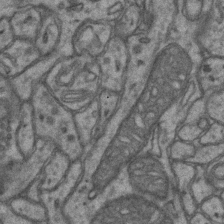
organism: Mouse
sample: CA1 Hippocampus